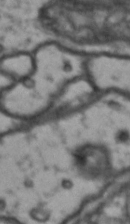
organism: Drosophila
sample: Brain